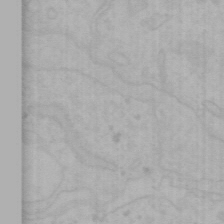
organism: Mouse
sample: Choroid plexus